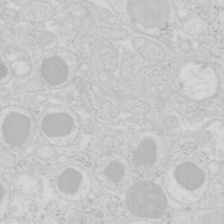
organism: Mouse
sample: Pancreas